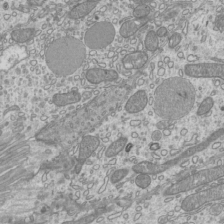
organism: Mouse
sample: Cilia; mouse epididymis